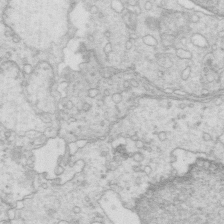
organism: Mouse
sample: Multiciliated cells